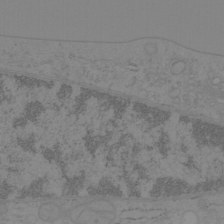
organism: Human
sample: HeLa cells